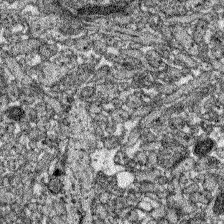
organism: Zebrafish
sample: Larval olfactory bulb